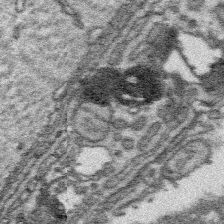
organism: Platynereis dumerilii